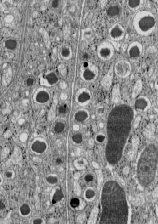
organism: C57BL Mouse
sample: Pancreatic islet